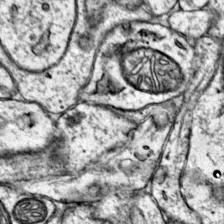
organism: Mouse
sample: Primary visual cortex